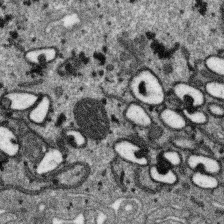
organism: Human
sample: Lung epithelial cells infected with SARS-CoV-2